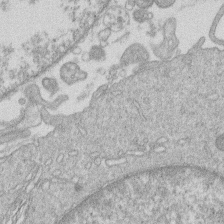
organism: Human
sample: Macrophage cells